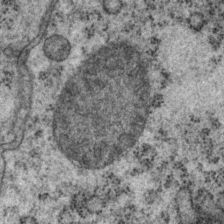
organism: P. pacificus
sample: Pharynx